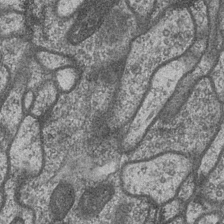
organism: Drosophila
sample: Optic medulla